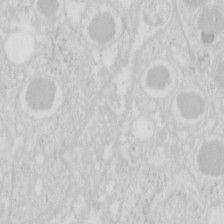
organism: Mouse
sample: Pancreas